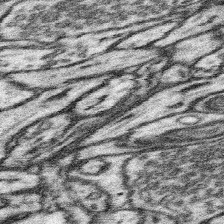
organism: Mouse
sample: Somatosensory cortex neuropil